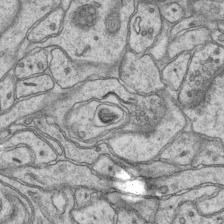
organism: Mouse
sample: CA1 Hippocampus